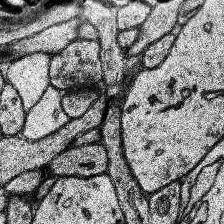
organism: Human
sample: Temporal Lobe